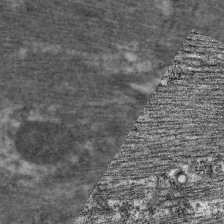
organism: C. elegans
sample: Pharynx